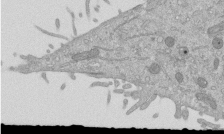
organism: Mouse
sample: ED-1 cell nuclei; centrioles